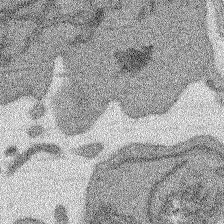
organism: Human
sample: HeLa cells